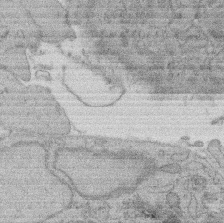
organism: Rat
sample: Salivary granule